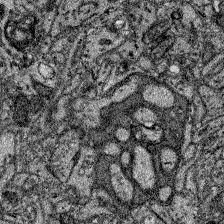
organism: Zebrafish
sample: Larval olfactory bulb